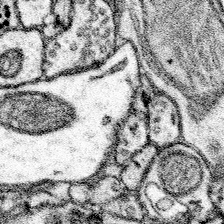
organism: Mouse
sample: Somatosensory cortex neuropil